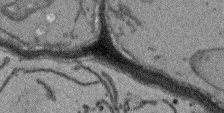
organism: Arabidopsis thaliana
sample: Root tip